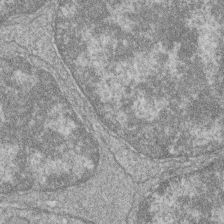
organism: Zebrafish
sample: Cilia; retinal pigment epithelium